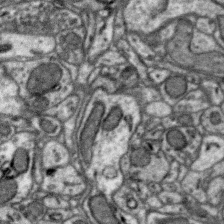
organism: Zebra finch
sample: Brain